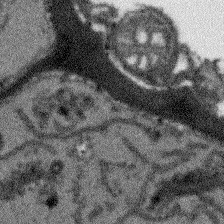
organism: Arabidopsis thaliana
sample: Root tip